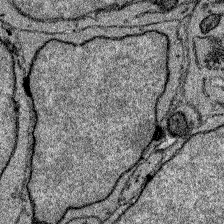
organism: Zebrafish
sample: Larval olfactory bulb